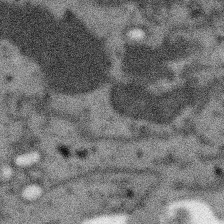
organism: Human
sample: Lung epithelial cells infected with SARS-CoV-2